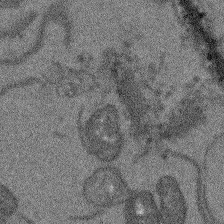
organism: Arabidopsis thaliana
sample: Root tip